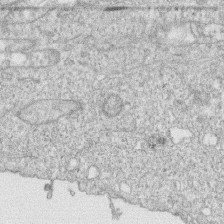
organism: Human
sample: HeLa cell HIV synapse